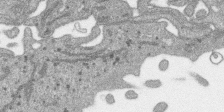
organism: Human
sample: Lung epithelial cells infected with SARS-CoV-2